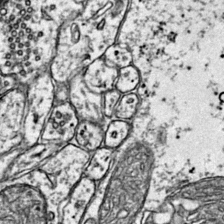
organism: Mouse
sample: Primary visual cortex